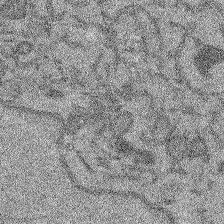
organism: Human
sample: HeLa cells